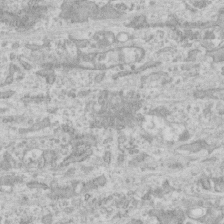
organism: Human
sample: CRL-1474